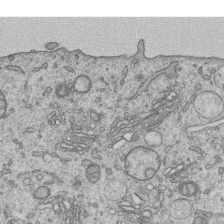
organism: Human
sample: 1205lu cells